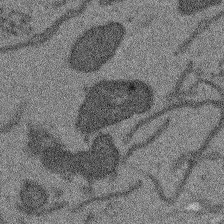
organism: Arabidopsis thaliana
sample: Root tip